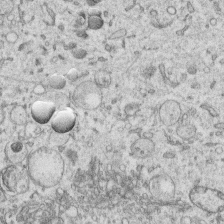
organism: Human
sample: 1205lu cells